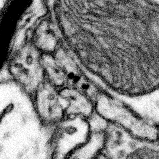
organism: Mouse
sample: Somatosensory cortex neuropil